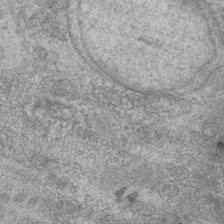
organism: Mouse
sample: Cilia; mouse epididymis